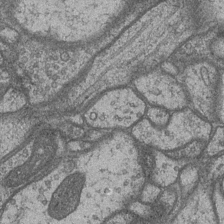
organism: Drosophila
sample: Optic medulla